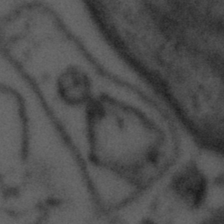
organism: Tuwongella immobilis